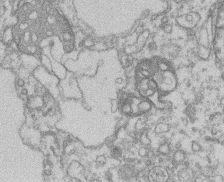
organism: Mouse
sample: T cell stromal cell synapse